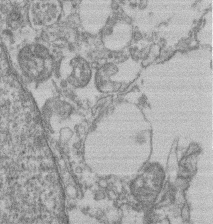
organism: Mouse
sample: T cell stromal cell synapse